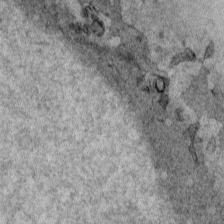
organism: Human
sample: Mitochondria in HCT116 cells